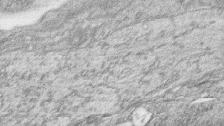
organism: Zebrafish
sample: synaptic ribbons in rod cells and cone cells